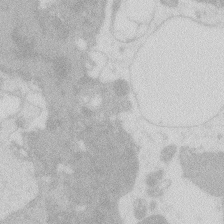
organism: Zebrafish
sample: Macrophage